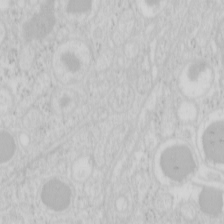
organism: Mouse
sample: Pancreas